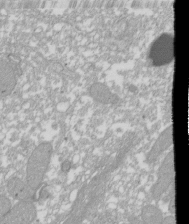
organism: Xenopus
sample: Cilia; centrioles in frog embryo cells